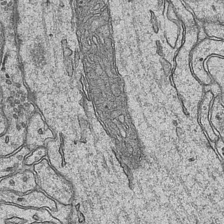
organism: Mouse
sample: CA1 Hippocampus